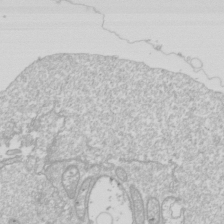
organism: Drosophila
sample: Cell division; meiosis; drosophila spermatocytes